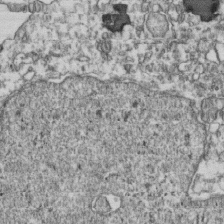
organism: Human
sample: Activated Jurkat CD4+ T cells